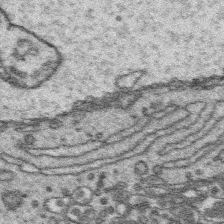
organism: Platynereis dumerilii